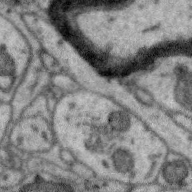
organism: Zebra finch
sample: Brain